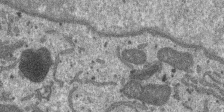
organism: Human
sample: Lung epithelial cells infected with SARS-CoV-2